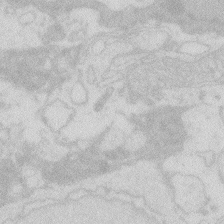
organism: Zebrafish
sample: Macrophage